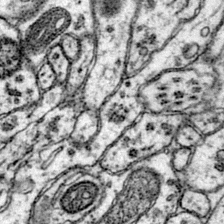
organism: Mouse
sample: Primary visual cortex